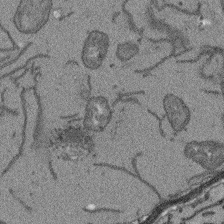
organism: Arabidopsis thaliana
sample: Root tip